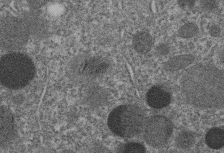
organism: C. elegans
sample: C. elegans embryo early stage